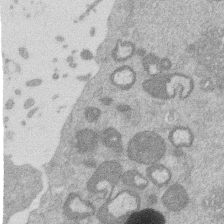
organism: Mouse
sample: Dividing mouse embryo 1 cell stage